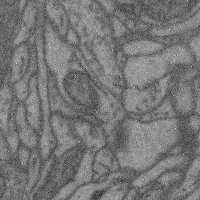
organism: Mouse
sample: Cerebral cortex